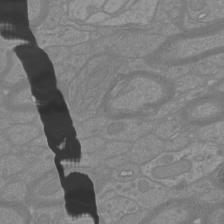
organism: Mouse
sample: Cortical neurons